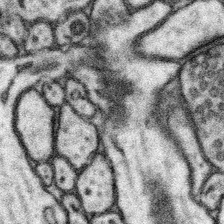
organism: Mouse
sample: Somatosensory cortex neuropil